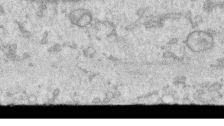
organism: Human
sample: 1205lu cells